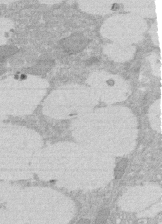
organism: Rat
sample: Salivary granule